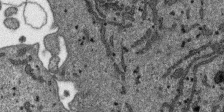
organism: Human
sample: Lung epithelial cells infected with SARS-CoV-2